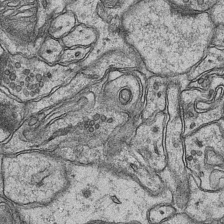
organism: Mouse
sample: CA1 Hippocampus